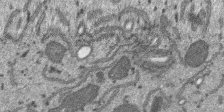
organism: Human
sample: Lung epithelial cells infected with SARS-CoV-2